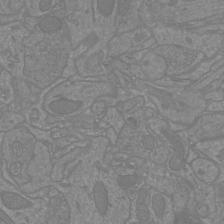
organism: Mouse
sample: Cortical neurons